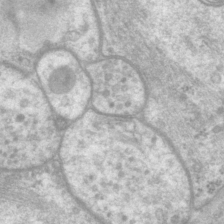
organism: P. pacificus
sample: Pharynx